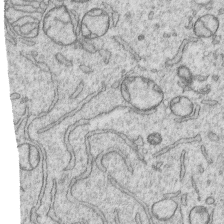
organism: Human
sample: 1205lu cells